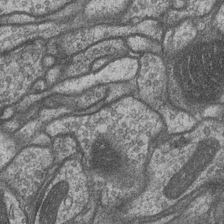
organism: Drosophila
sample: Optic medulla